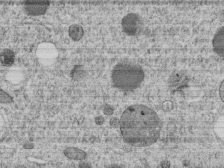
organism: C. elegans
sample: C. elegans embryo early stage